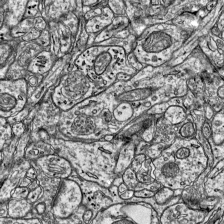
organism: Mouse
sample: Visual Cortex